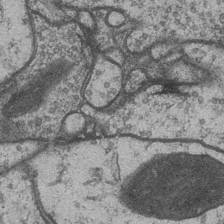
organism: Drosophila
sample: Optic medulla